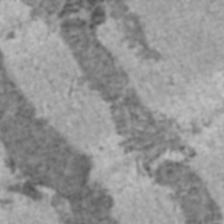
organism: C57BL Mouse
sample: Heart